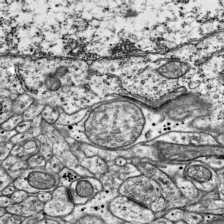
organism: Mouse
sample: Visual Cortex